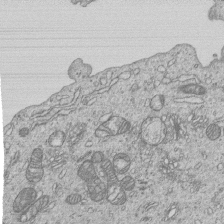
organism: Human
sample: MDA-MB-231 cells